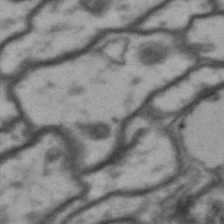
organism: Drosophila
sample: Brain